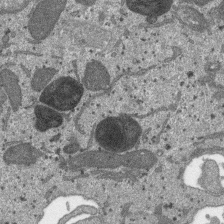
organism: Human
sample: Lung epithelial cells infected with SARS-CoV-2